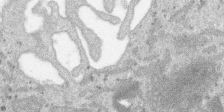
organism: Human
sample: Lung epithelial cells infected with SARS-CoV-2